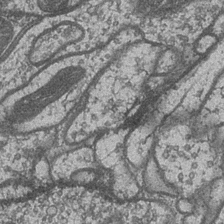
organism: Drosophila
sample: Optic medulla